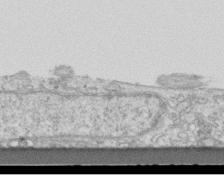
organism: Mouse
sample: Centriole in ependymal cells